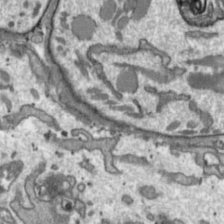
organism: Toxoplasma gondii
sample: Parasites in a vacuole inside a host cell